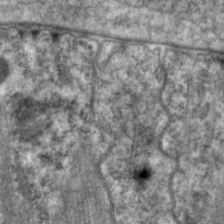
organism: C. elegans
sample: Pharynx